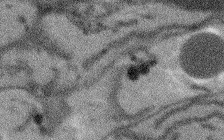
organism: Arabidopsis thaliana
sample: Root tip